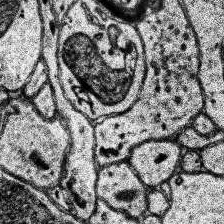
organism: Human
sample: Temporal Lobe